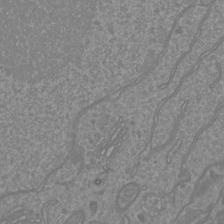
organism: Mouse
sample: Cortical neurons